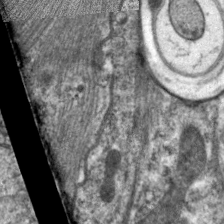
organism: C. elegans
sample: Pharynx